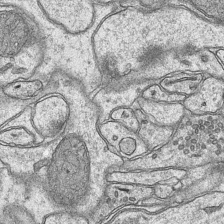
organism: Mouse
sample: CA1 Hippocampus